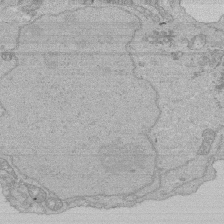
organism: Human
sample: Activated Jurkat CD4+ T cells